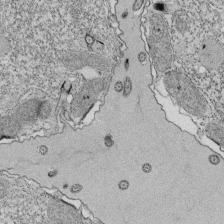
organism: Tetrahymena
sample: Cilia in tetrahymena